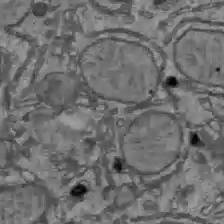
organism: C57BL Mouse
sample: Liver